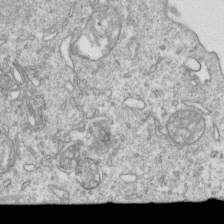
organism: Mouse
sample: Activated OT-1 CD8+ T cells